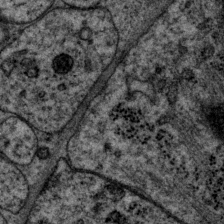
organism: P. pacificus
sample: Pharynx